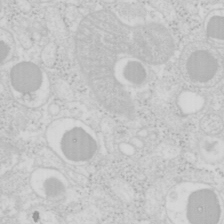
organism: Mouse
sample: Pancreas